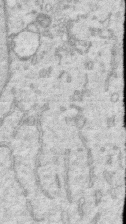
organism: Human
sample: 1205lu cells